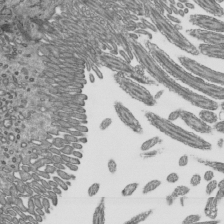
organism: Mouse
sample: Mouse epididymis efferent ductule cilia